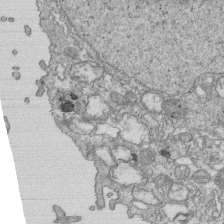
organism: Human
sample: HeLa cell HIV synapse